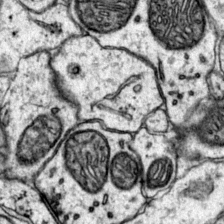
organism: Mouse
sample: Primary visual cortex